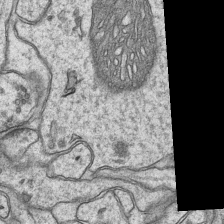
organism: Mouse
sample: CA1 Hippocampus